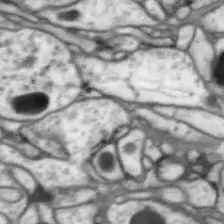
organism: Drosophila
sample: Optic lobe